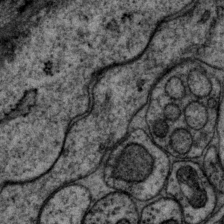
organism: P. pacificus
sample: Pharynx